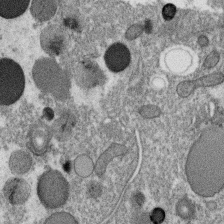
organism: C. elegans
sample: C. elegans oocyte; sperm cells